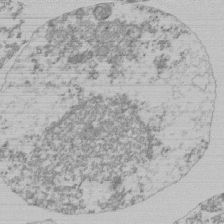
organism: Mouse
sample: Activated Pmel transgenic CD8+ T Cells